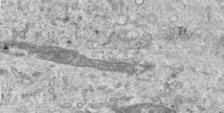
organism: Human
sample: Centriole in RPE cells